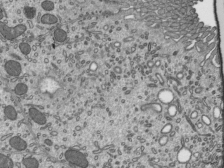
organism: Mouse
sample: Mouse epididymis efferent ductule cilia